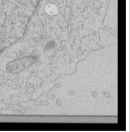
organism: Human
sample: Mitochondria in HCT116 cells